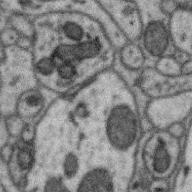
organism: Zebra finch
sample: Brain